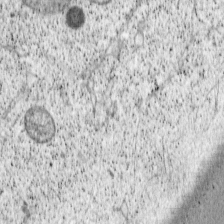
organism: African green monkey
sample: COS-7 cells